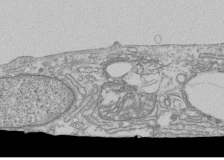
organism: Human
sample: Fibroblast cells